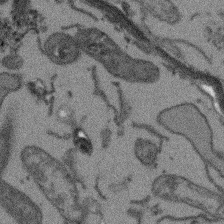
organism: Arabidopsis thaliana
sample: Root tip